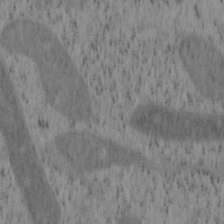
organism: Mouse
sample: OT-I killer T cells with ID8 ovarian cancer cells